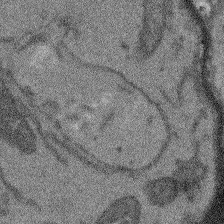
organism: Arabidopsis thaliana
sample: Root tip